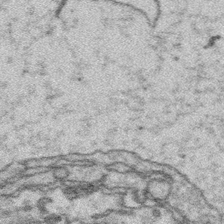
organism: Platynereis dumerilii